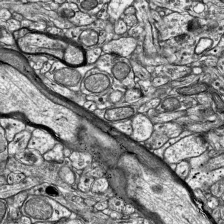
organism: Mouse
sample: Visual Cortex